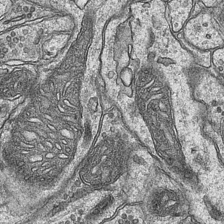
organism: Mouse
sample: CA1 Hippocampus